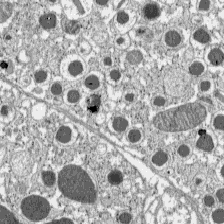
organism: C57BL Mouse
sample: Pancreatic islet